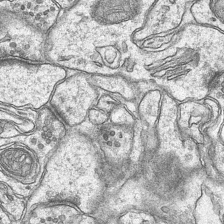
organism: Mouse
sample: CA1 Hippocampus